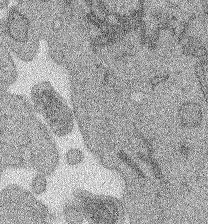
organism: Human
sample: HeLa cells